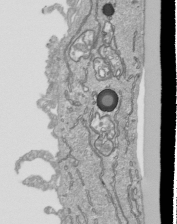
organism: Human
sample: Mitochondria in HCT116 cells